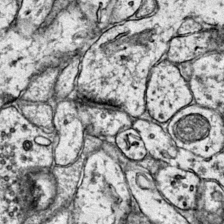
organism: Mouse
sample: Primary visual cortex